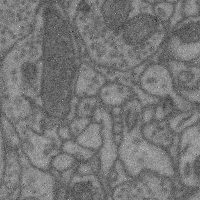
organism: Mouse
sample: Cerebral cortex